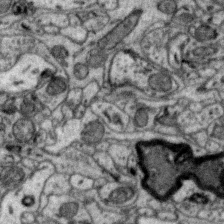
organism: Zebra finch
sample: Brain